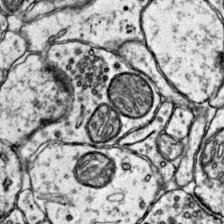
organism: Mouse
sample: Primary visual cortex